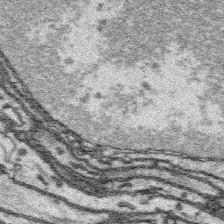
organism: Platynereis dumerilii